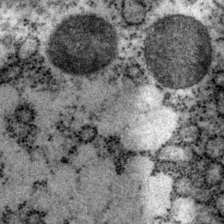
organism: P. pacificus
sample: Pharynx